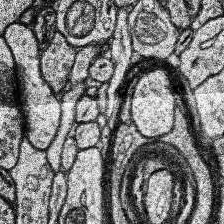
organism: Human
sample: Temporal Lobe